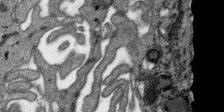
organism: Human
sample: Lung epithelial cells, uninfected (mock) control